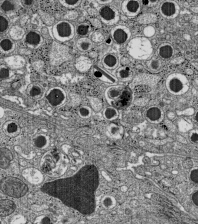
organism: C57BL Mouse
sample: Pancreatic islet